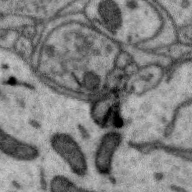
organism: Zebra finch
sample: Brain